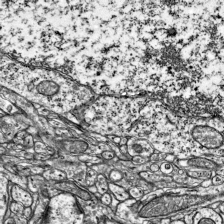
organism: Mouse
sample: Visual Cortex